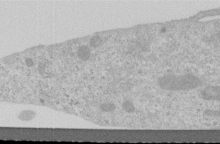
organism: Human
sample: Centriole in RPE cells